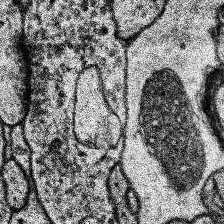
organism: Human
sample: Temporal Lobe